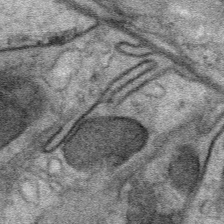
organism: Mouse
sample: Mouse Salivary gland